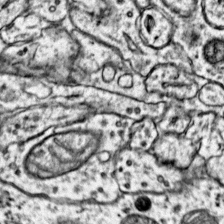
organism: Mouse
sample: Primary visual cortex